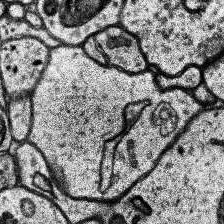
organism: Human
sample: Temporal Lobe